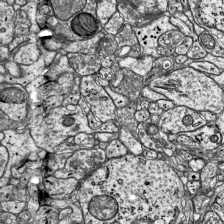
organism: Mouse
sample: Visual Cortex